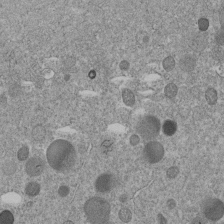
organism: C. elegans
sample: C. elegans embryo early stage